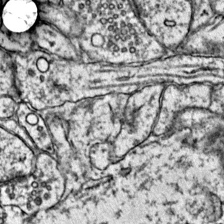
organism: Mouse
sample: Primary visual cortex